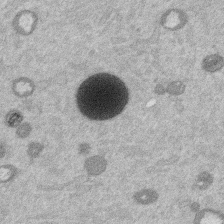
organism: Mouse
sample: Dividing mouse embryo 1 cell stage